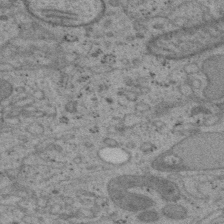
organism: Human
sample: HeLa cells